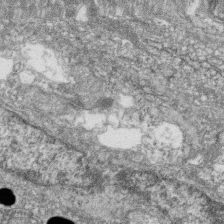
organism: Zebrafish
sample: Cilia; retinal pigment epithelium